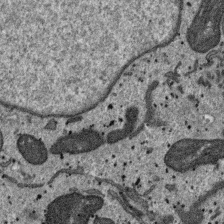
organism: Human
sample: Lung epithelial cells, uninfected (mock) control